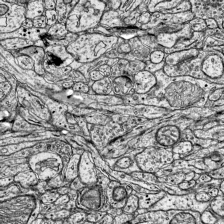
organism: Mouse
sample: Visual Cortex